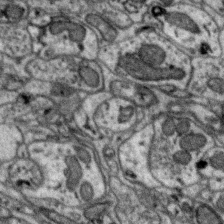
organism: Zebra finch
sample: Brain